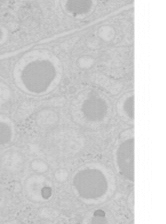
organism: Mouse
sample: Pancreas